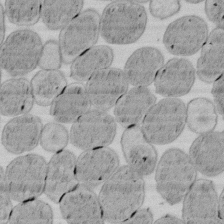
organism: E. coli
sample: Bacterial nucleoid